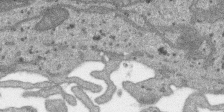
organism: Human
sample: Lung epithelial cells infected with SARS-CoV-2